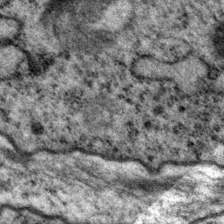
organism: P. pacificus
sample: Pharynx